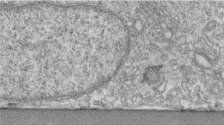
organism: Human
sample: Centriole in fibroblast cells